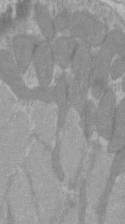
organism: C57BL Mouse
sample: Tibialis anterior muscle cell